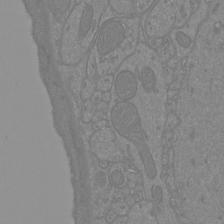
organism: Mouse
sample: Cortical neurons